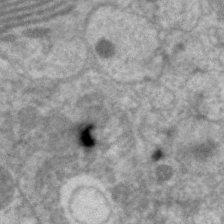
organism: C. elegans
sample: Pharynx